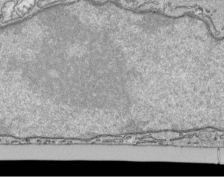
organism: Human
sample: Mitochondria in HCT116 cells